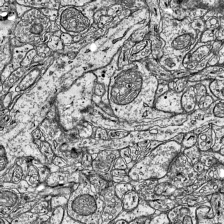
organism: Mouse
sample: Visual Cortex